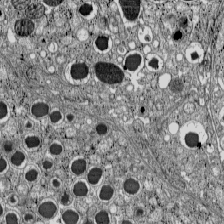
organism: C57BL Mouse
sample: Pancreatic islet